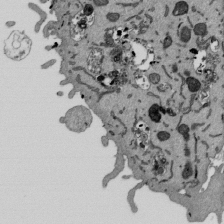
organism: Mouse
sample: ED-1 cell nuclei; centrioles